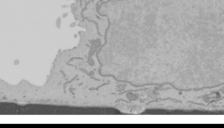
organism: Mouse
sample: Cancer cell death in ED-1 cells